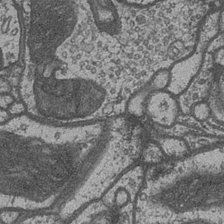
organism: Drosophila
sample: Optic medulla